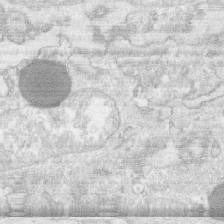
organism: Human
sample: CRL-1474